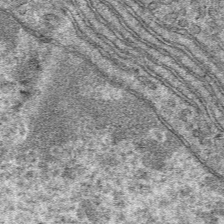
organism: Mouse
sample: Mouse hepatocytes